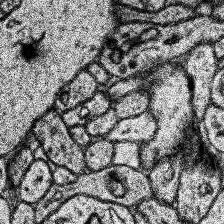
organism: Human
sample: Temporal Lobe